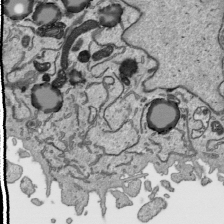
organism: Human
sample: Mitochondria in HCT116 cells